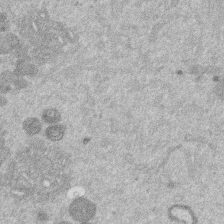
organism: Mouse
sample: Dividing mouse embryo 1 cell stage